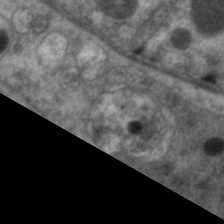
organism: C. elegans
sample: Pharynx